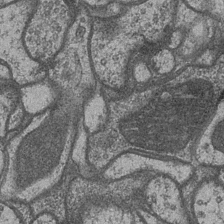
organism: Drosophila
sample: Optic medulla